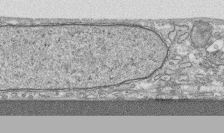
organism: Human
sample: CRL-1474